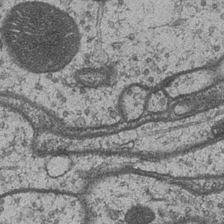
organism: Drosophila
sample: Optic medulla